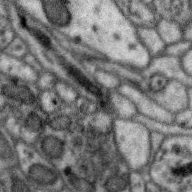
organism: Zebra finch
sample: Brain